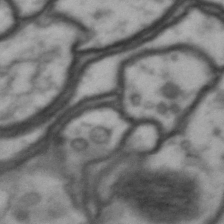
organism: Drosophila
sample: Brain